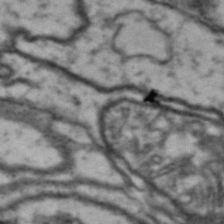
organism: Drosophila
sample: Brain